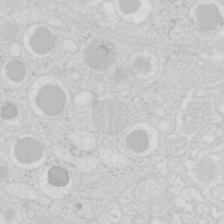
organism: Mouse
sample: Pancreas